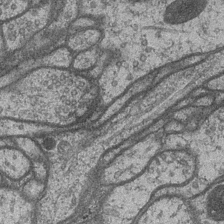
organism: Drosophila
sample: Optic medulla